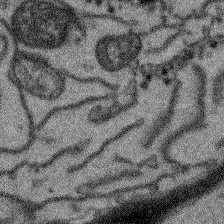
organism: Arabidopsis thaliana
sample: Root tip